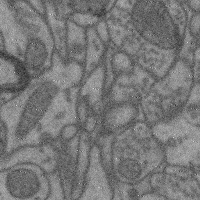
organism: Mouse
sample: Cerebral cortex